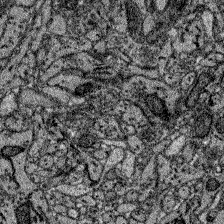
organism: Zebrafish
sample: Larval olfactory bulb